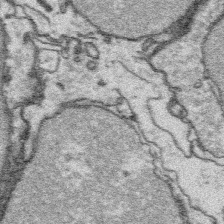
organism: Platynereis dumerilii